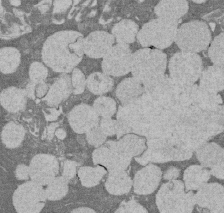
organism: Rat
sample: Salivary granule